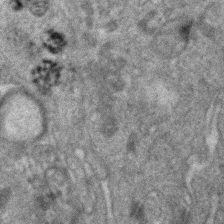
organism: Human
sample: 1205lu cells